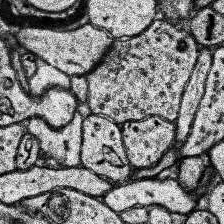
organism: Human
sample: Temporal Lobe